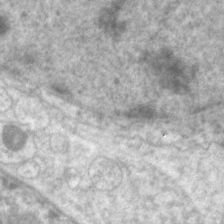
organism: C. elegans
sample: Pharynx